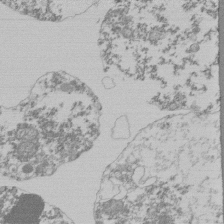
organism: Mouse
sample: Activated Pmel transgenic CD8+ T Cells